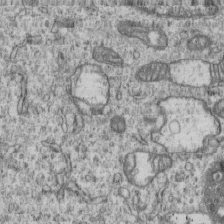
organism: Human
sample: MDA-MB-231 cells